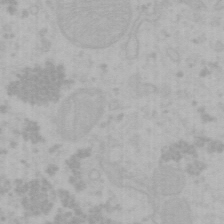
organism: Mouse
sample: Choroid plexus